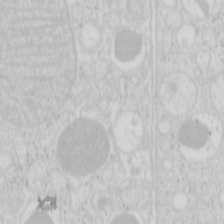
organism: Mouse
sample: Pancreas